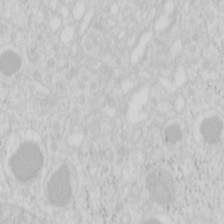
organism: Mouse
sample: Pancreas